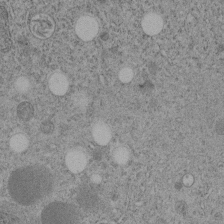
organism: C. elegans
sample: C. elegans embryo early stage